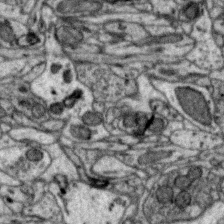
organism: Zebra finch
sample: Brain